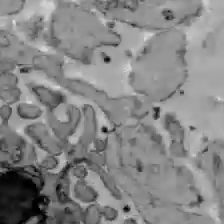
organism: C57BL Mouse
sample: Liver